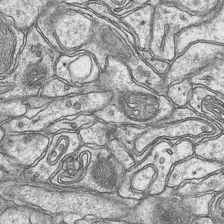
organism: Mouse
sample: CA1 Hippocampus